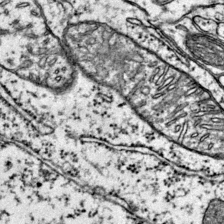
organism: Mouse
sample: Primary visual cortex